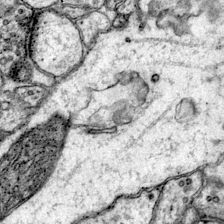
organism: Mouse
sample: Primary visual cortex